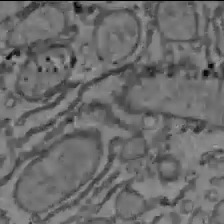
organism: C57BL Mouse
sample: Liver